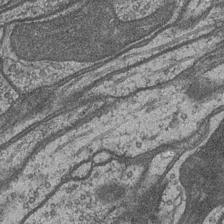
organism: Drosophila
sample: Optic medulla